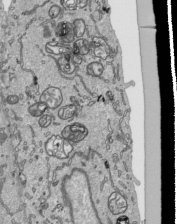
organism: Human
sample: Mitochondria in HCT116 cells